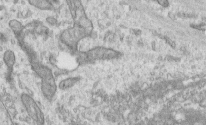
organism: Human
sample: Centriole in RPE cells